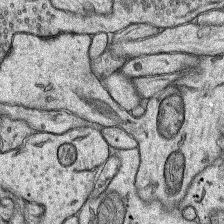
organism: Rat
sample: Hippocampus